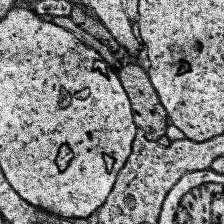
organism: Human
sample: Temporal Lobe